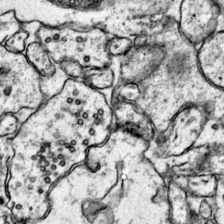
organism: Mouse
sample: Primary visual cortex